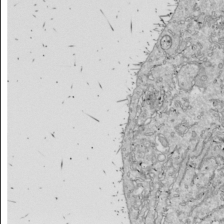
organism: Drosophila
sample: Cell division; meiosis; drosophila spermatocytes